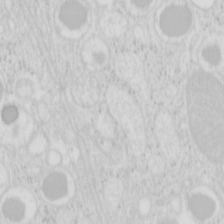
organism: Mouse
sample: Pancreas